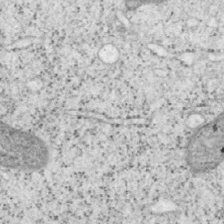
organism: Mouse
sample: OT-I killer T cells with ID8 ovarian cancer cells